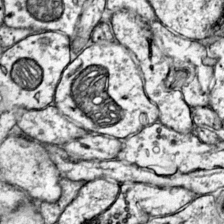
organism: Mouse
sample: Primary visual cortex